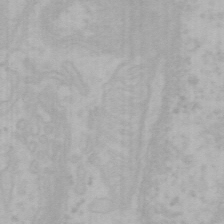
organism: Mouse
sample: Choroid plexus